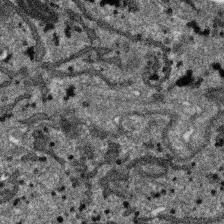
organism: Human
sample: Lung epithelial cells infected with SARS-CoV-2